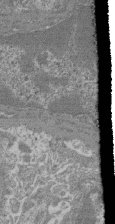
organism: Mouse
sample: Glomerulus